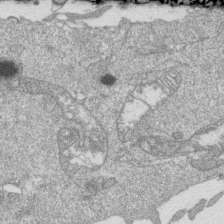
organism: Human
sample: HeLa cell HIV synapse